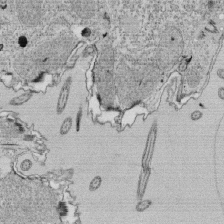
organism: Tetrahymena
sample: Cilia in tetrahymena